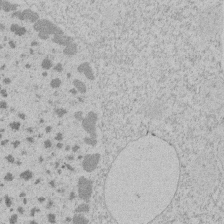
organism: Tetrahymena